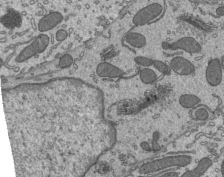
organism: Mouse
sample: Mouse epididymis efferent ductule cilia